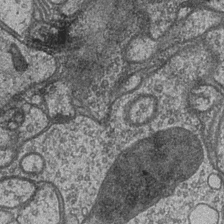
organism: Drosophila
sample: Optic medulla